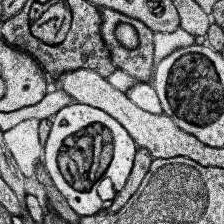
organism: Human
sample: Temporal Lobe